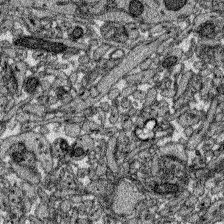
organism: Zebrafish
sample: Larval olfactory bulb